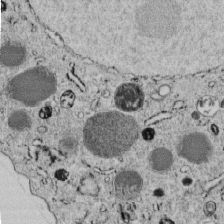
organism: C. elegans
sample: C. elegans embryo early stage